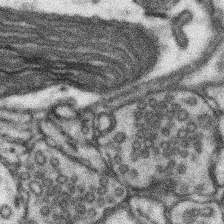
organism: Mouse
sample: Somatosensory cortex neuropil